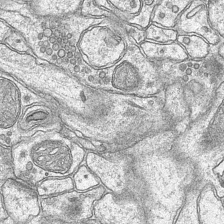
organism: Mouse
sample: CA1 Hippocampus